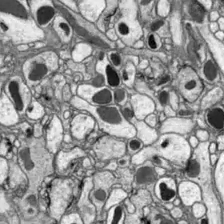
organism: Drosophila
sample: Optic lobe